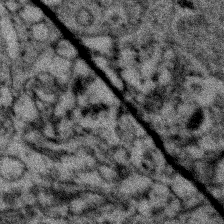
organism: Zebrafish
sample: Zebrafish embryo